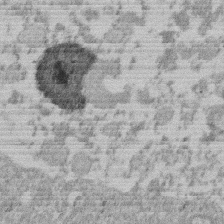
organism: Mouse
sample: Dividing mouse embryo 1 cell stage